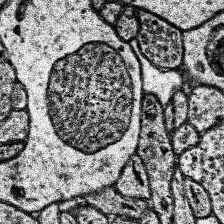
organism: Human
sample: Temporal Lobe